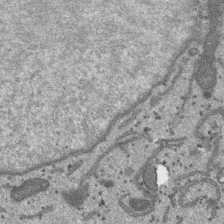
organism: Human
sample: Lung epithelial cells infected with SARS-CoV-2